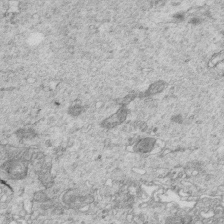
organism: Mouse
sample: Multiciliated cells